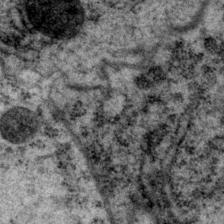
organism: P. pacificus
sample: Pharynx